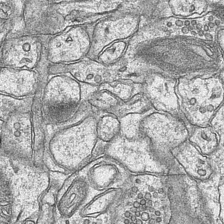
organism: Mouse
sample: CA1 Hippocampus